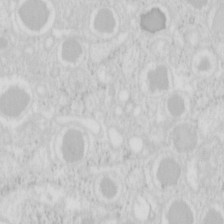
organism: Mouse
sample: Pancreas